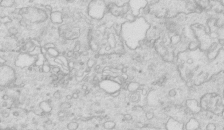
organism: Mouse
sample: Multiciliated cells